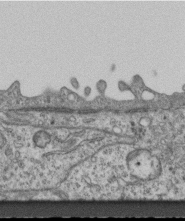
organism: Mouse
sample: Centriole in ependymal cells